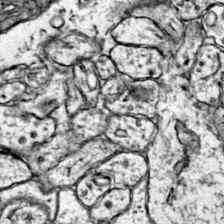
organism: Mouse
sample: Primary visual cortex